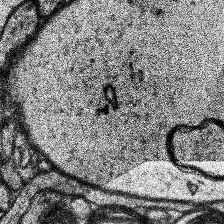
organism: Human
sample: Temporal Lobe